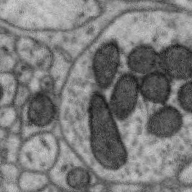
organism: Zebra finch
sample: Brain